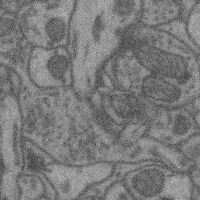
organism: Mouse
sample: Cerebral cortex